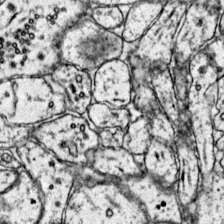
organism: Mouse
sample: Primary visual cortex